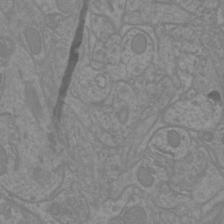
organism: Mouse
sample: Cortical neurons